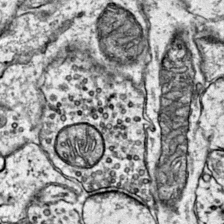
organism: Mouse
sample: Primary visual cortex